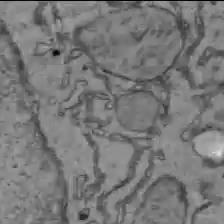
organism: C57BL Mouse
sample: Liver